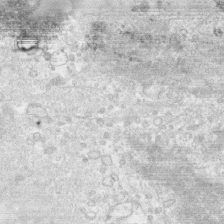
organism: Human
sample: CRL-1474